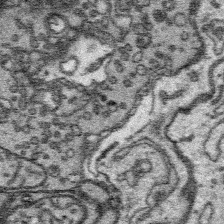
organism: Platynereis dumerilii